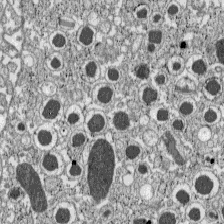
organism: C57BL Mouse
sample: Pancreatic islet